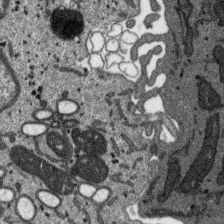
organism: Human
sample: Lung epithelial cells infected with SARS-CoV-2